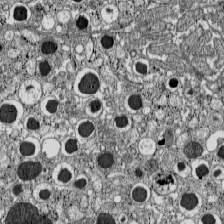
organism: C57BL Mouse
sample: Pancreatic islet